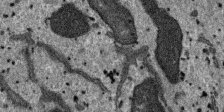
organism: Human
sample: Lung epithelial cells, uninfected (mock) control